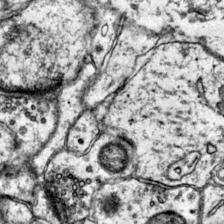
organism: Mouse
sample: Primary visual cortex